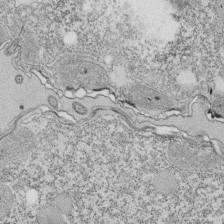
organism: Tetrahymena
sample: Cilia in tetrahymena